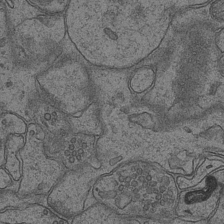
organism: Mouse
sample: CA1 Hippocampus